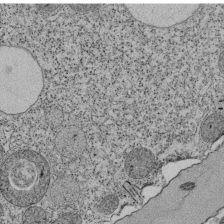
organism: Tetrahymena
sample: Cilia in tetrahymena